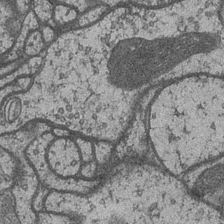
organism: Drosophila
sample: Optic medulla